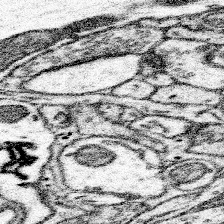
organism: Mouse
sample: Somatosensory cortex neuropil